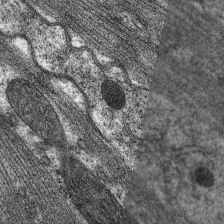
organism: C. elegans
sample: Pharynx